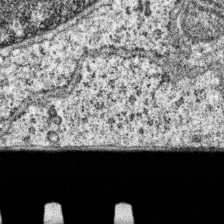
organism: Human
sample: HeLa cells